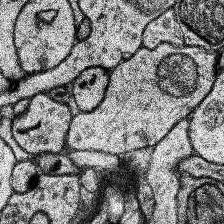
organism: Human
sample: Temporal Lobe